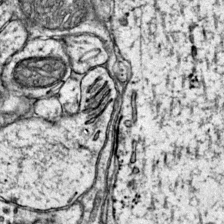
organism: Mouse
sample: Primary visual cortex